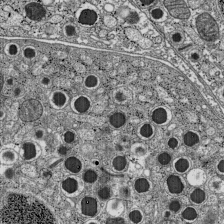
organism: C57BL Mouse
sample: Pancreatic islet